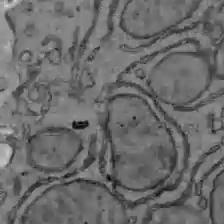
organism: C57BL Mouse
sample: Liver